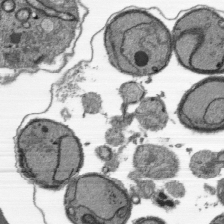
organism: Plasmodium falciparum